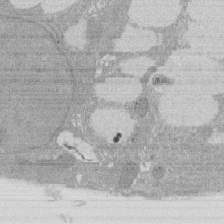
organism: Rat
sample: Salivary granule